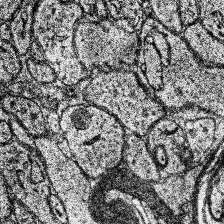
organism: Human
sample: Temporal Lobe